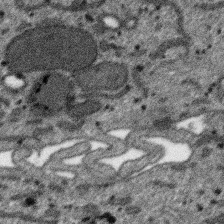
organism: Human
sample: Lung epithelial cells infected with SARS-CoV-2